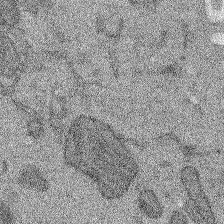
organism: Human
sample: HeLa cells